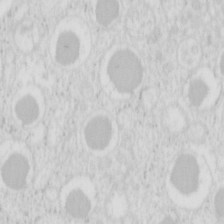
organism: Mouse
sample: Pancreas